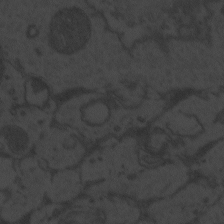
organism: Zebrafish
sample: Macrophage infected with Toxoplasma gondii